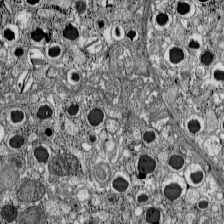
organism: C57BL Mouse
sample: Pancreatic islet